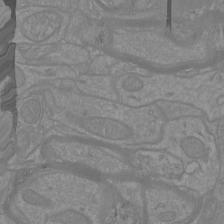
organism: Mouse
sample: Cortical neurons